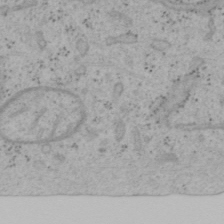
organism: Human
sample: HeLa cells